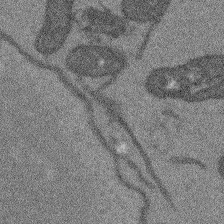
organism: Arabidopsis thaliana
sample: Root tip